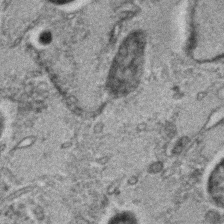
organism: C. elegans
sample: C. elegans embryo